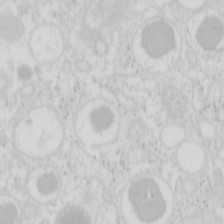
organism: Mouse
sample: Pancreas